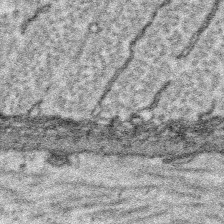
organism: Platynereis dumerilii